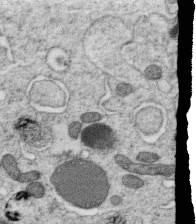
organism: C. elegans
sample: C. elegans oocyte; sperm cells